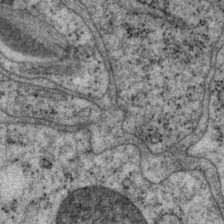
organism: P. pacificus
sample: Pharynx